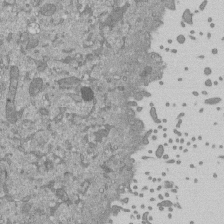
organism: Mouse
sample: ED-1 cell nuclei; centrioles